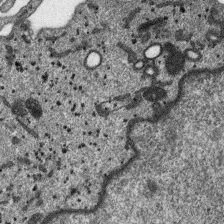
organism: Human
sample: Lung epithelial cells infected with SARS-CoV-2